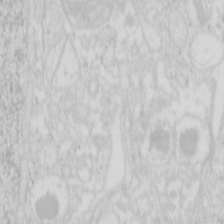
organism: Mouse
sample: Pancreas